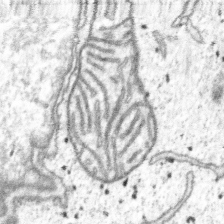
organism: Human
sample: HeLa cells